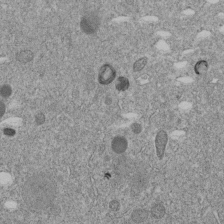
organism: C. elegans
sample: C. elegans embryo early stage